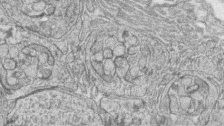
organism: Zebrafish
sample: synaptic ribbons in rod cells and cone cells